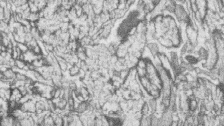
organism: Zebrafish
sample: synaptic ribbons in rod cells and cone cells